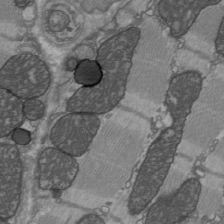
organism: C57BL Mouse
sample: Heart